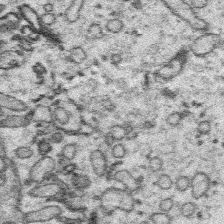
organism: Platynereis dumerilii